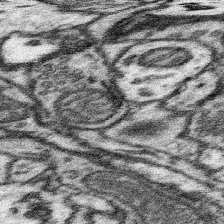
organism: Mouse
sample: Somatosensory cortex neuropil